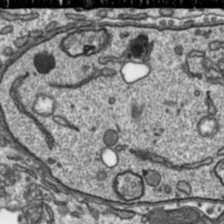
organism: Toxoplasma gondii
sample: Parasites in a vacuole inside a host cell